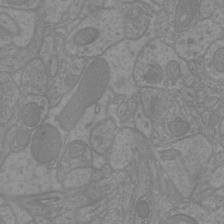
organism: Mouse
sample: Cortical neurons